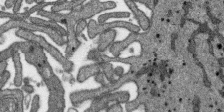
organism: Human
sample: Lung epithelial cells, uninfected (mock) control